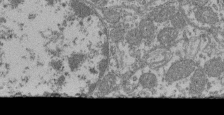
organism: Mouse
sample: Glomerulus